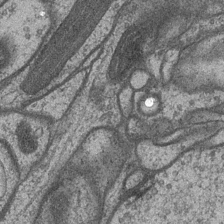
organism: Drosophila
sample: Optic medulla